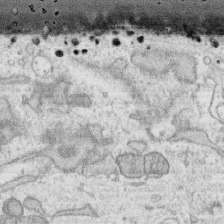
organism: Human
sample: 1205lu cells